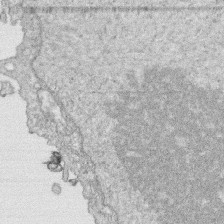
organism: Human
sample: HeLa cell HIV synapse